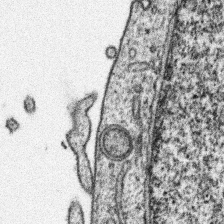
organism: Human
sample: HeLa cells